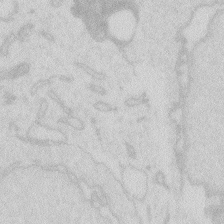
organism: Zebrafish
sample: Macrophage